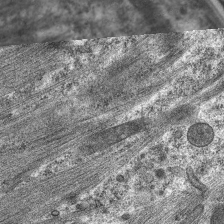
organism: C. elegans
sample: Pharynx